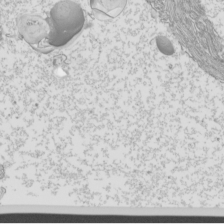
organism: Mouse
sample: Cilia; mouse epididymis